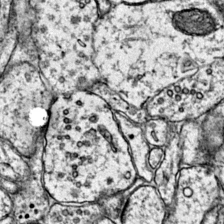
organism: Mouse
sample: Primary visual cortex